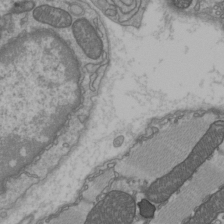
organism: C57BL Mouse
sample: Heart